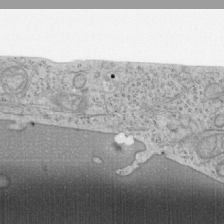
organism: Human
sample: HeLa cells